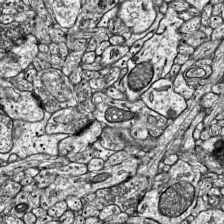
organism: Mouse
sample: Visual Cortex